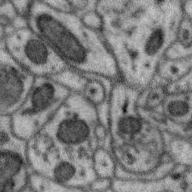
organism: Zebra finch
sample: Brain